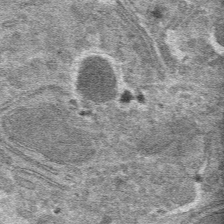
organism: Mouse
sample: Mouse hepatocytes